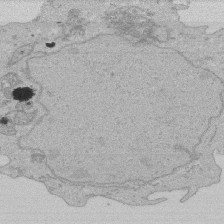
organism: Human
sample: Activated Jurkat CD4+ T cells